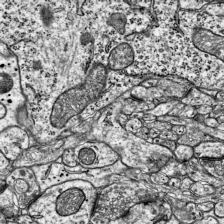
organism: Mouse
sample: Visual Cortex